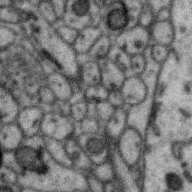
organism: Zebra finch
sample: Brain